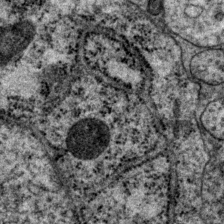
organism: P. pacificus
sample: Pharynx